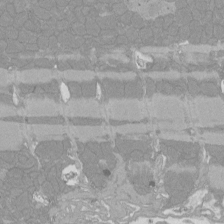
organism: Rat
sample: Left ventricle